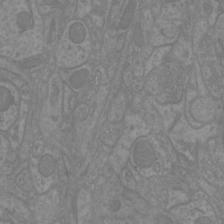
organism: Mouse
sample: Cortical neurons